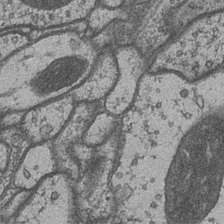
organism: Drosophila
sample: Optic medulla